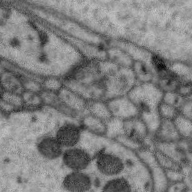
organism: Zebra finch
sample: Brain